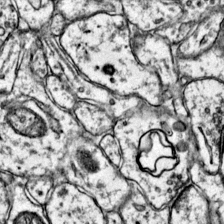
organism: Mouse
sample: Primary visual cortex